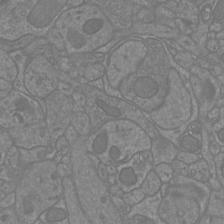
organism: Mouse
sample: Cortical neurons